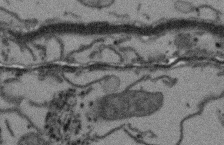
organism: Arabidopsis thaliana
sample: Root tip